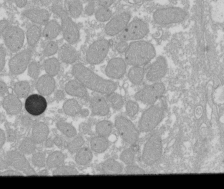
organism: Xenopus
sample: Cilia; centrioles in frog embryo cells